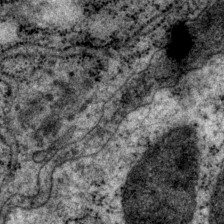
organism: P. pacificus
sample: Pharynx